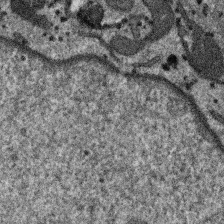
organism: Human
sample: Lung epithelial cells infected with SARS-CoV-2